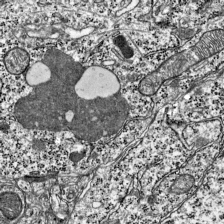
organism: Mouse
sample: Visual Cortex